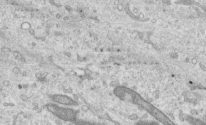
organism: Human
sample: Centriole in RPE cells